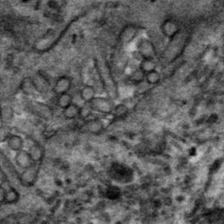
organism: Mouse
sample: Mouse hepatocytes